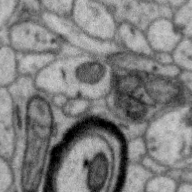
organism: Zebra finch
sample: Brain